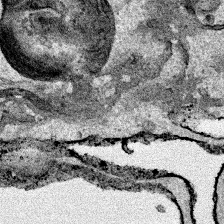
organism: Human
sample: Mitochondria in HCT116 cells